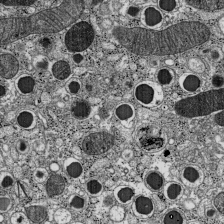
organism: C57BL Mouse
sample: Pancreatic islet